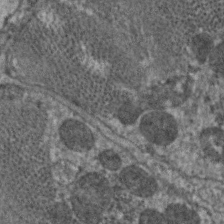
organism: C. elegans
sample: Pharynx